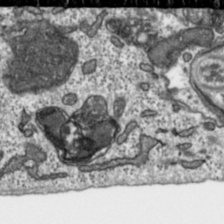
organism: Toxoplasma gondii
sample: Parasites in a vacuole inside a host cell